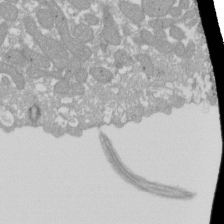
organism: Xenopus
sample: Cilia; centrioles in frog embryo cells